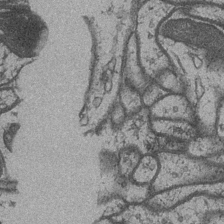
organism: Drosophila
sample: Optic medulla